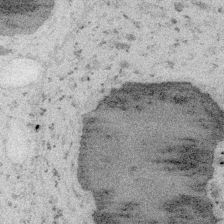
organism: Embia sp.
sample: Silk gland